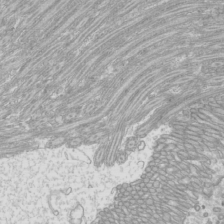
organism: Mouse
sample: Cilia; mouse epididymis